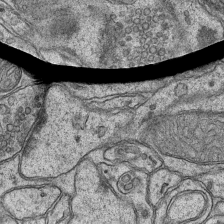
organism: Mouse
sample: CA1 Hippocampus